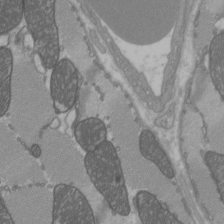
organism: C57BL Mouse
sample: Heart